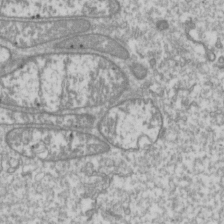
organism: Drosophila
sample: Cell division; meiosis; drosophila spermatocytes